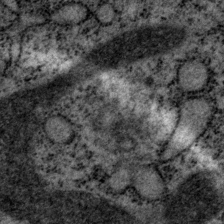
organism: P. pacificus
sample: Pharynx